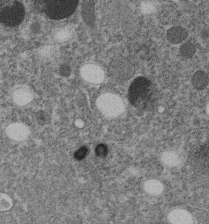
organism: C. elegans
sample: C. elegans embryo early stage